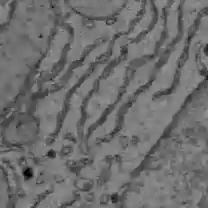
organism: C57BL Mouse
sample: Liver